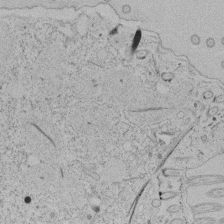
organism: Tetrahymena